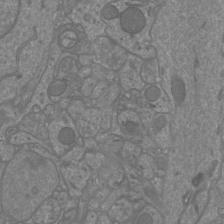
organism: Mouse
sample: Cortical neurons